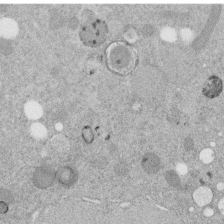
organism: C. elegans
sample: C. elegans embryo early stage